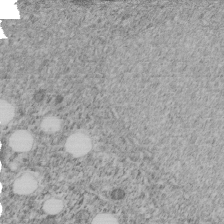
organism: C. elegans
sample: C. elegans embryo early stage